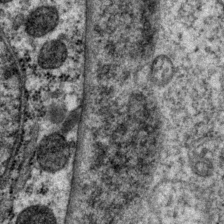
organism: P. pacificus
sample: Pharynx